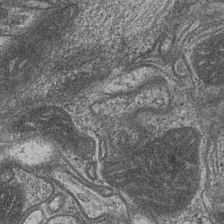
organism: Drosophila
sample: Optic medulla